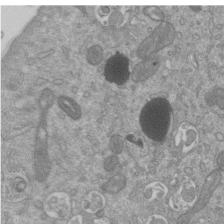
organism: Mouse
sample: ED-1 cell nuclei; centrioles